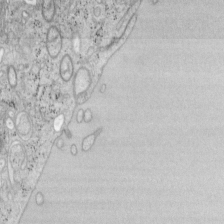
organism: Mouse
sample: OT-I killer T cells with ID8 ovarian cancer cells